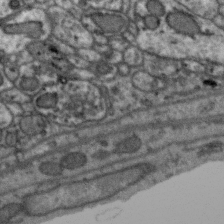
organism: Zebra finch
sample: Brain